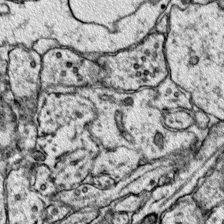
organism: Mouse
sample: Primary visual cortex